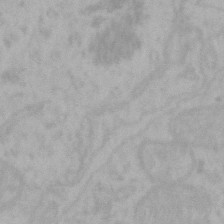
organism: Mouse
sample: Choroid plexus